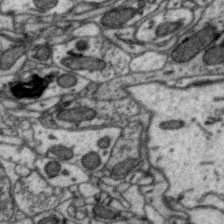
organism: Zebra finch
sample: Brain